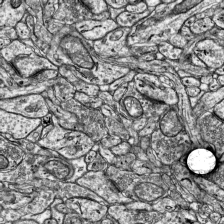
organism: Mouse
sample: Visual Cortex